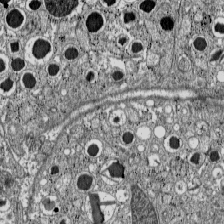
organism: C57BL Mouse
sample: Pancreatic islet